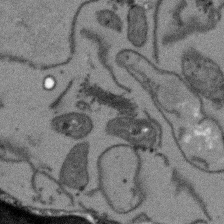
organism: Arabidopsis thaliana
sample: Root tip